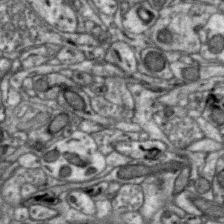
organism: Zebra finch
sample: Brain